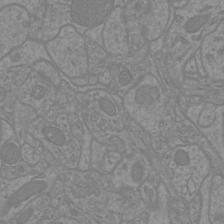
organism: Mouse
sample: Cortical neurons